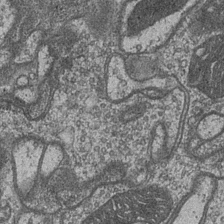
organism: Drosophila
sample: Optic medulla